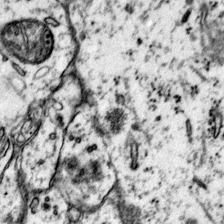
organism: Mouse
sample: Primary visual cortex